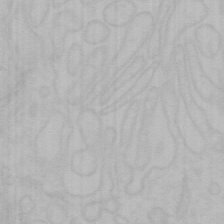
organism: Mouse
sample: Choroid plexus